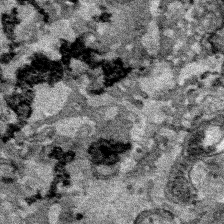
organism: Human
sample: Mitochondria in HCT116 cells